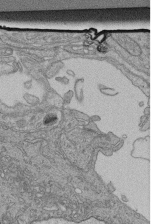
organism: Human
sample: Retinal organoid Rod and Cone cells